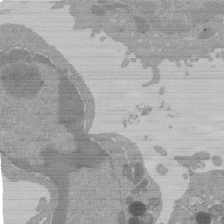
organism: Mouse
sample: Activated Pmel transgenic CD8+ T Cells